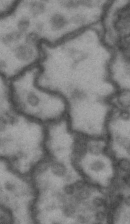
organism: Drosophila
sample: Brain